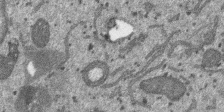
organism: Human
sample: Lung epithelial cells infected with SARS-CoV-2